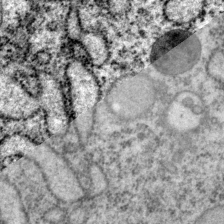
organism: P. pacificus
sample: Pharynx